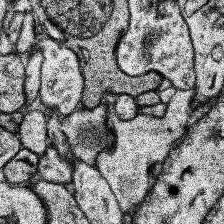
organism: Human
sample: Temporal Lobe